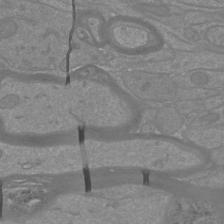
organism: Mouse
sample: Cortical neurons